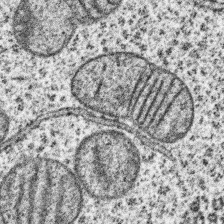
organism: Human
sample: HeLa cells